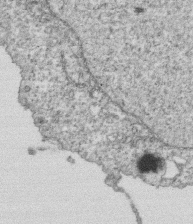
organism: Human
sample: HeLa cell HIV synapse